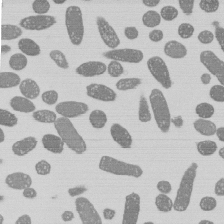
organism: E. coli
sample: Bacterial nucleoid